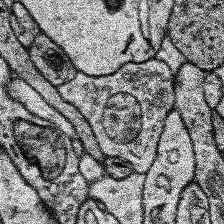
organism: Human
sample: Temporal Lobe